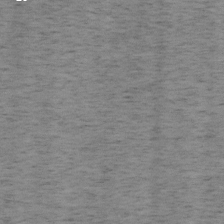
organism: Mouse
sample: OT-I killer T cells with ID8 ovarian cancer cells